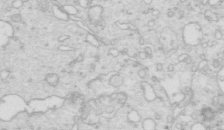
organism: Mouse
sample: Multiciliated cells